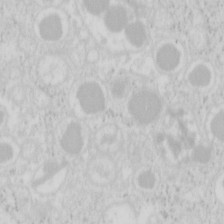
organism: Mouse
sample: Pancreas